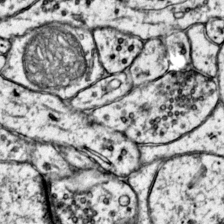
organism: Mouse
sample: Primary visual cortex